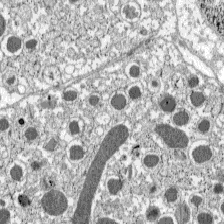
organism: C57BL Mouse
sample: Pancreatic islet